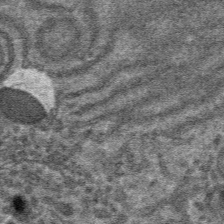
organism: Mouse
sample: Mouse hepatocytes